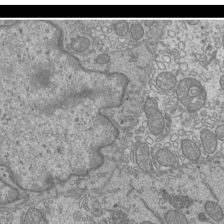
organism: Mouse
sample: Cilia; mouse epididymis